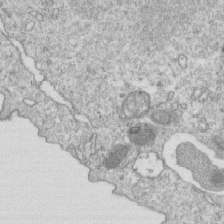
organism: Mouse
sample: Activated OT-1 CD8+ T cells